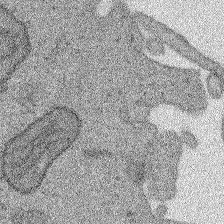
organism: Human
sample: HeLa cells